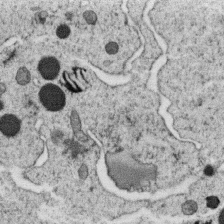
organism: C. elegans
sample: C. elegans oocyte; sperm cells